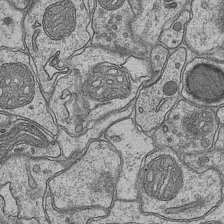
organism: Mouse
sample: CA1 Hippocampus